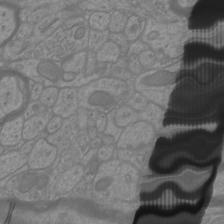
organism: Mouse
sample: Cortical neurons